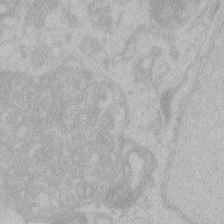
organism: Zebrafish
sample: Macrophage infected with Toxoplasma gondii